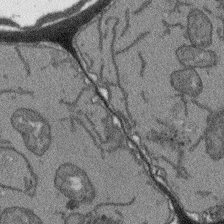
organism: Arabidopsis thaliana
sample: Root tip